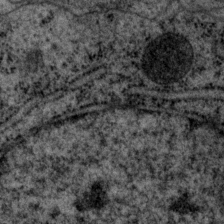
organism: P. pacificus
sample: Pharynx